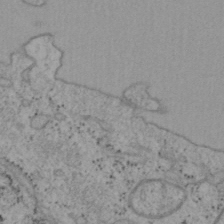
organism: Human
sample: HeLa cells